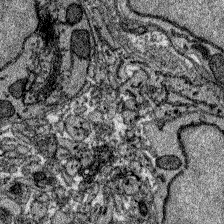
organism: Zebrafish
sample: Larval olfactory bulb